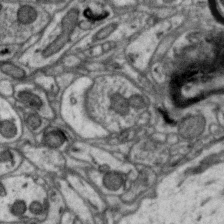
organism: Zebra finch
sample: Brain